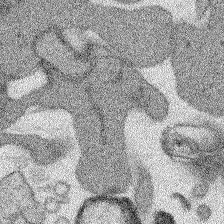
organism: Human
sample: HeLa cells